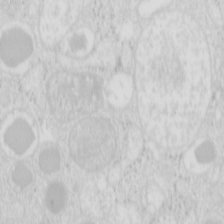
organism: Mouse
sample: Pancreas